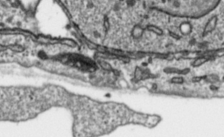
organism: Toxoplasma gondii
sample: Parasites in a vacuole inside a host cell